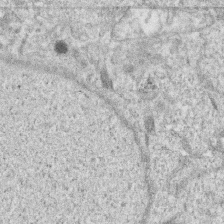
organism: Human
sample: HeLa cell HIV synapse